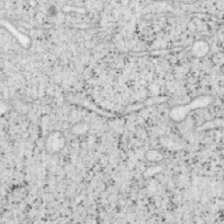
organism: Mouse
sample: OT-I killer T cells with ID8 ovarian cancer cells